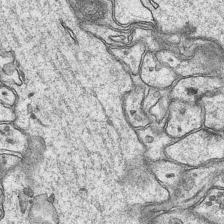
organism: Mouse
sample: CA1 Hippocampus